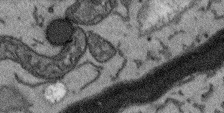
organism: Arabidopsis thaliana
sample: Root tip